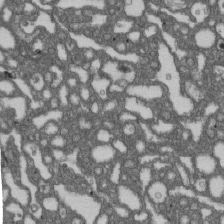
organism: Drosophila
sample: Nephrocyte